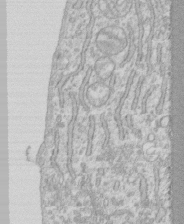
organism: Human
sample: CRL-1474